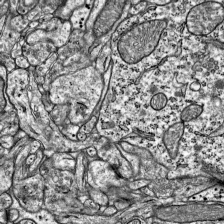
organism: Mouse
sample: Visual Cortex